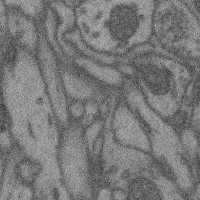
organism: Mouse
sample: Cerebral cortex